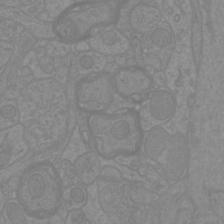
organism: Mouse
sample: Cortical neurons